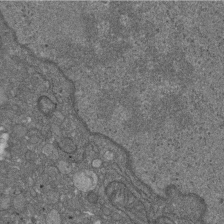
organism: Drosophila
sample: Nephrocyte